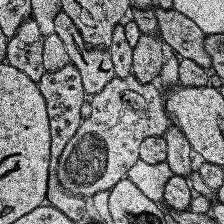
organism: Human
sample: Temporal Lobe